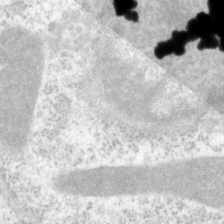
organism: P. pacificus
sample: Pharynx